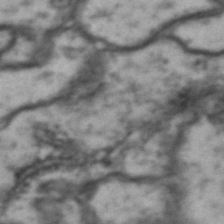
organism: Drosophila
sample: Brain